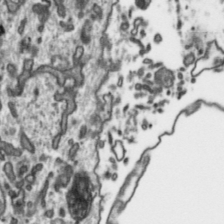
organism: Toxoplasma gondii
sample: Parasites in a vacuole inside a host cell